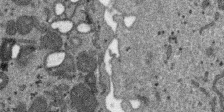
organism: Human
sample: Lung epithelial cells infected with SARS-CoV-2